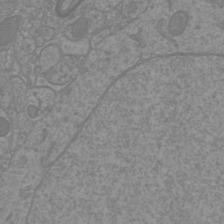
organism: Mouse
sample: Cortical neurons